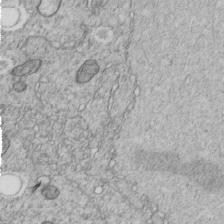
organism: C. elegans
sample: C. elegans embryo early stage